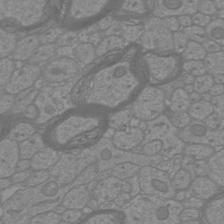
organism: Mouse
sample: Cortical neurons